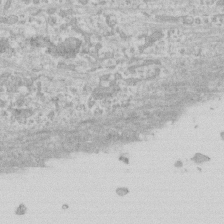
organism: Human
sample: CRL-1474